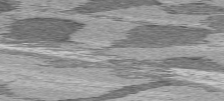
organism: C57BL Mouse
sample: Heart